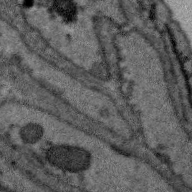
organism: Zebra finch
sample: Brain